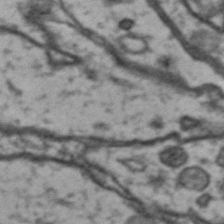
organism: Drosophila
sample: Brain